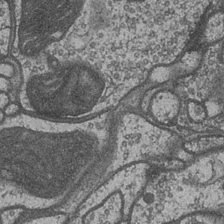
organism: Drosophila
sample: Optic medulla